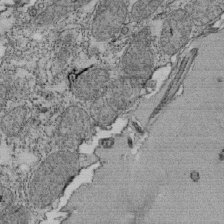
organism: Tetrahymena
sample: Cilia in tetrahymena